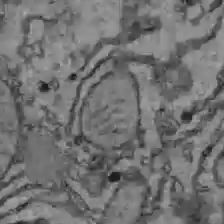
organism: C57BL Mouse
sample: Liver